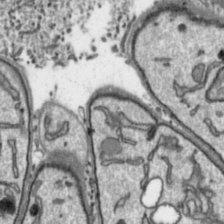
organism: Toxoplasma gondii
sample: Parasites in a vacuole inside a host cell